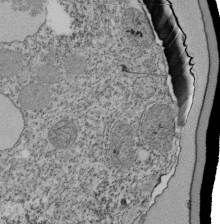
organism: Tetrahymena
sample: Cilia in tetrahymena